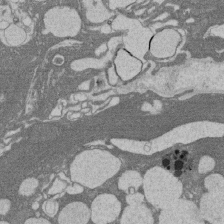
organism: Rat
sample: Salivary granule